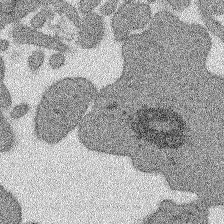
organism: Human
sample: HeLa cells